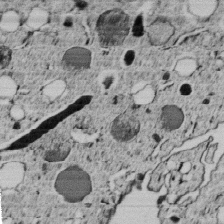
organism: C. elegans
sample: C. elegans embryo early stage